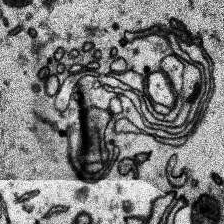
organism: Human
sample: Temporal Lobe